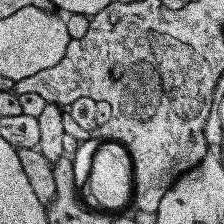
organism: Human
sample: Temporal Lobe